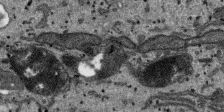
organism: Human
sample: Lung epithelial cells, uninfected (mock) control